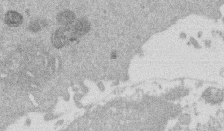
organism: Mouse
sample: Dividing mouse embryo 1 cell stage